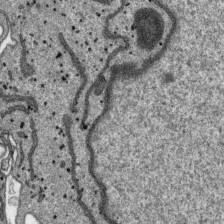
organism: Human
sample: Lung epithelial cells, uninfected (mock) control